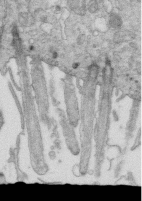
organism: Mouse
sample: Multiciliated cells